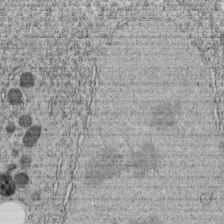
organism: C. elegans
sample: C. elegans embryo early stage